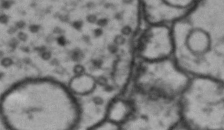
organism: Drosophila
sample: Brain